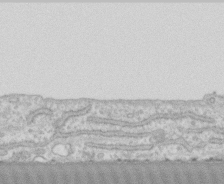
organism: Human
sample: CRL-1474